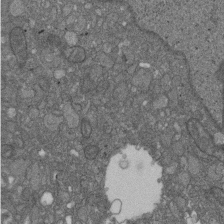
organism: Drosophila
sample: Nephrocyte